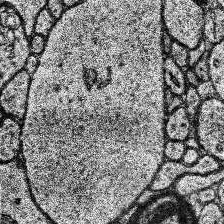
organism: Human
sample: Temporal Lobe